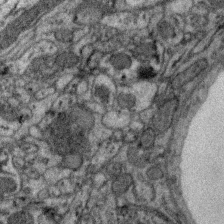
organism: Zebra finch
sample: Brain